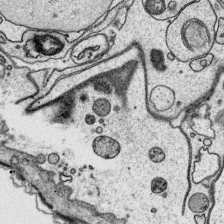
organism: Platynereis dumerilii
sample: Parapodia